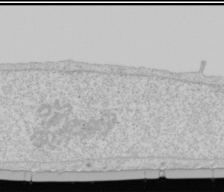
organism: Human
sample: Mitochondria in U2OS cells